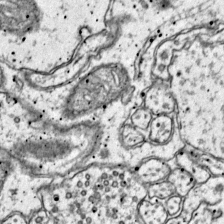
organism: Mouse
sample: Primary visual cortex